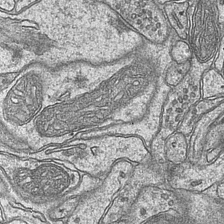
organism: Mouse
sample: CA1 Hippocampus